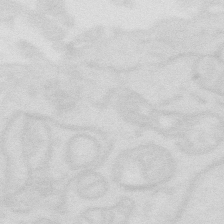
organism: Human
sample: HeLa cells